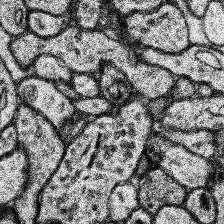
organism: Human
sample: Temporal Lobe